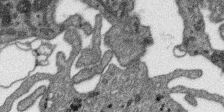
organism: Human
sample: Lung epithelial cells infected with SARS-CoV-2